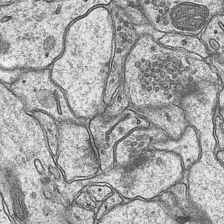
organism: Mouse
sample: CA1 Hippocampus